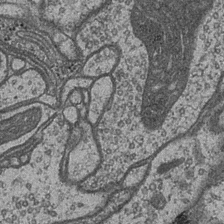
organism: Drosophila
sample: Optic medulla